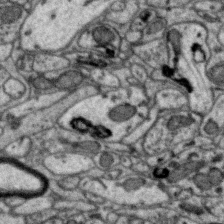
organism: Zebra finch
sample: Brain